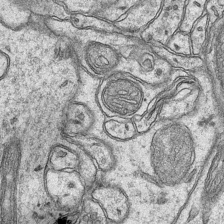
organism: Mouse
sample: CA1 Hippocampus